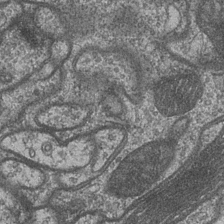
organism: Drosophila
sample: Optic medulla